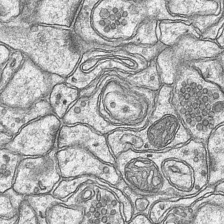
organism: Mouse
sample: CA1 Hippocampus